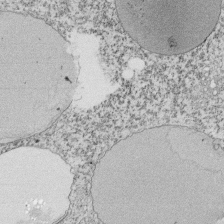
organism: Tetrahymena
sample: Cilia in tetrahymena